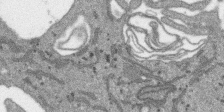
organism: Human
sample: Lung epithelial cells infected with SARS-CoV-2